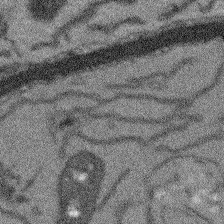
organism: Arabidopsis thaliana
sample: Root tip